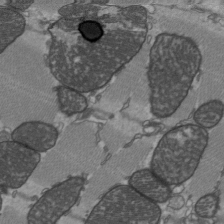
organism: C57BL Mouse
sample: Heart